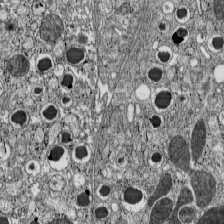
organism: C57BL Mouse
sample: Pancreatic islet